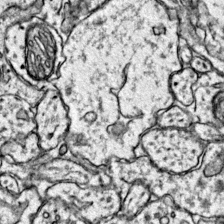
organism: Mouse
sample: Primary visual cortex